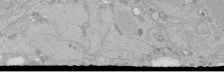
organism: Human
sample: Caco-2 cells